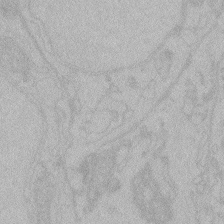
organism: Zebrafish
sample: Macrophage infected with Toxoplasma gondii